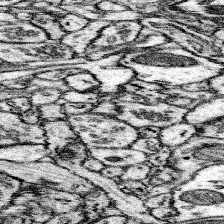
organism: Mouse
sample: Somatosensory cortex neuropil